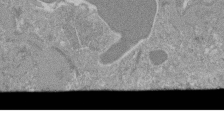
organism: Mouse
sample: Glomerulus